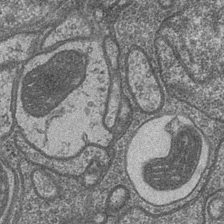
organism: Drosophila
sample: Optic medulla